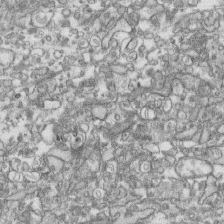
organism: Human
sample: CRL-1474